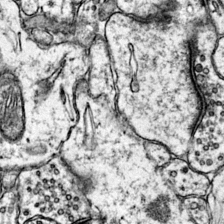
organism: Mouse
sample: Primary visual cortex